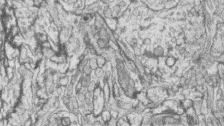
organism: Zebrafish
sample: synaptic ribbons in rod cells and cone cells